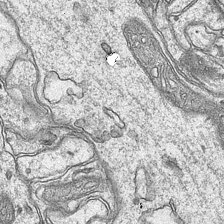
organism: Mouse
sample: CA1 Hippocampus